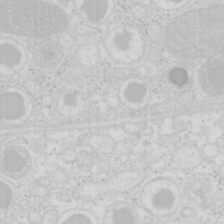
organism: Mouse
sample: Pancreas